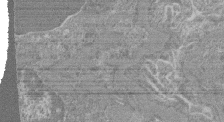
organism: Mouse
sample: Glomerulus